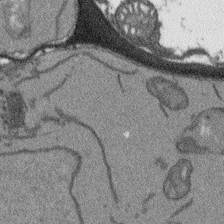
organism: Arabidopsis thaliana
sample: Root tip